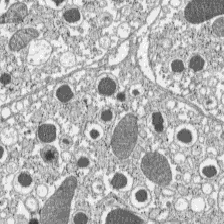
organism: C57BL Mouse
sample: Pancreatic islet